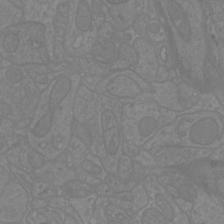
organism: Mouse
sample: Cortical neurons